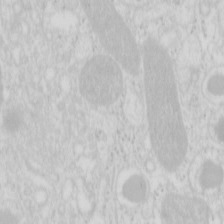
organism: Mouse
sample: Pancreas